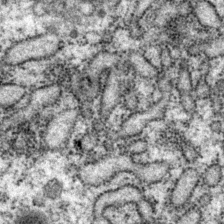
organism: P. pacificus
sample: Pharynx